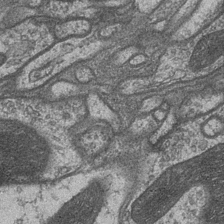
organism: Drosophila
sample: Optic medulla